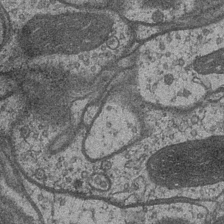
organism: Drosophila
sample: Optic medulla